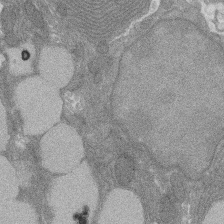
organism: Rat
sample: Salivary granule